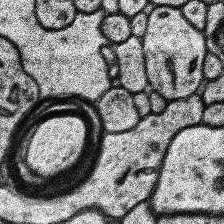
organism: Human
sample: Temporal Lobe